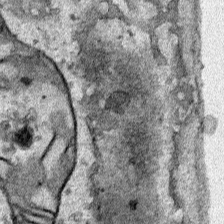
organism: Human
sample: Mitochondria in HCT116 cells